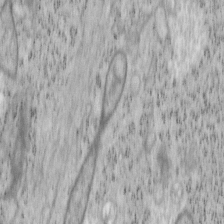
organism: Human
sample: HeLa cells